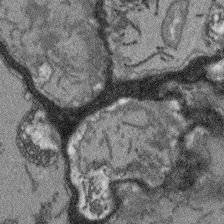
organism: Arabidopsis thaliana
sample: Root tip